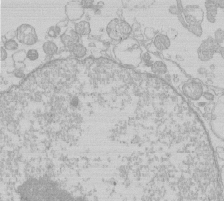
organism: Human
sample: Macrophage cells